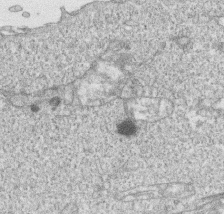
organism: Human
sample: HeLa cell HIV synapse